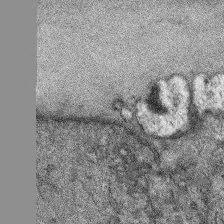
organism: Mouse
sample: Corneal nerves